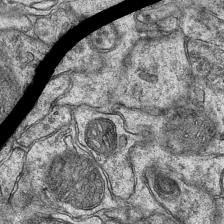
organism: Mouse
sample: CA1 Hippocampus